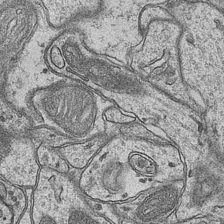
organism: Mouse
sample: CA1 Hippocampus